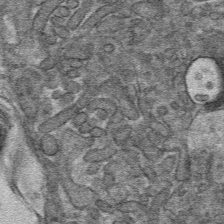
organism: Mouse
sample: Mouse hepatocytes